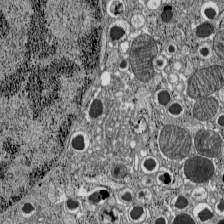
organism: C57BL Mouse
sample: Pancreatic islet